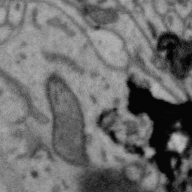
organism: Zebra finch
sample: Brain